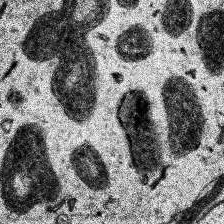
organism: Human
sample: Temporal Lobe